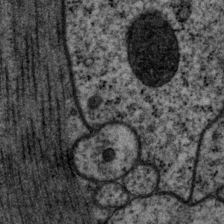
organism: P. pacificus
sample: Pharynx